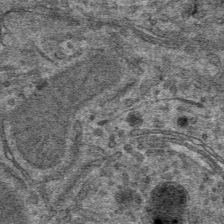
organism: Mouse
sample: Mouse hepatocytes